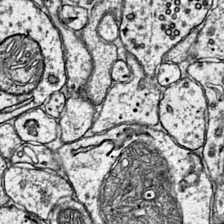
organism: Mouse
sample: Primary visual cortex